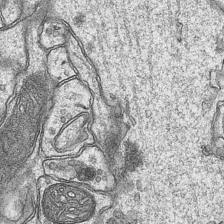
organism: Mouse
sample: CA1 Hippocampus